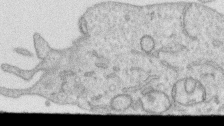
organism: Human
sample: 1205lu cells